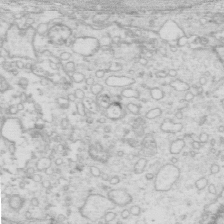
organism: Mouse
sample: Multiciliated cells